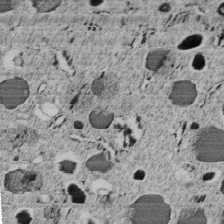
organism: C. elegans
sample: C. elegans embryo early stage